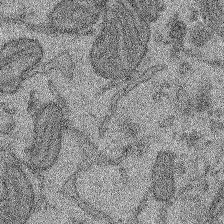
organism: Human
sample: HeLa cells